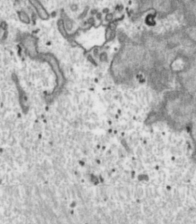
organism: Toxoplasma gondii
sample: Parasites in a vacuole inside a host cell